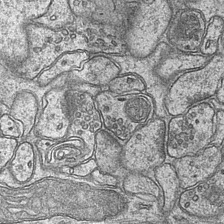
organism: Mouse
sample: CA1 Hippocampus